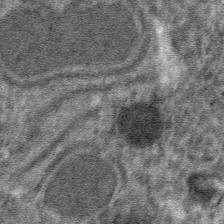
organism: Mouse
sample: Mouse hepatocytes